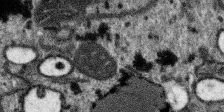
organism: Human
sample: Lung epithelial cells infected with SARS-CoV-2